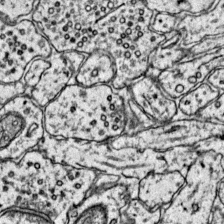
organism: Mouse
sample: Primary visual cortex